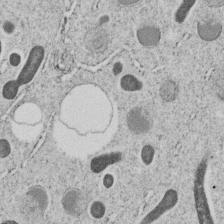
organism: C. elegans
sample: C. elegans embryo early stage